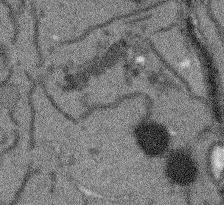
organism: Arabidopsis thaliana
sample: Root tip